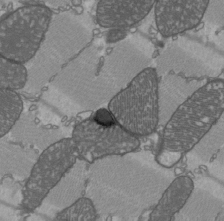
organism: C57BL Mouse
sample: Heart